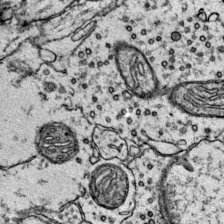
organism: Mouse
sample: Primary visual cortex